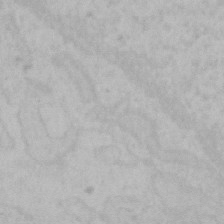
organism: Mouse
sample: Choroid plexus